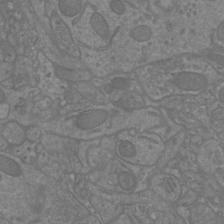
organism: Mouse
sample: Cortical neurons